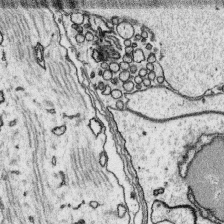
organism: Platynereis dumerilii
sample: Parapodia